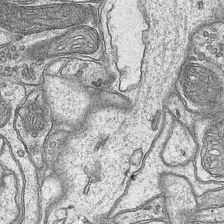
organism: Mouse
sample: CA1 Hippocampus